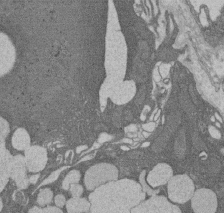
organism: Rat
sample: Salivary granule